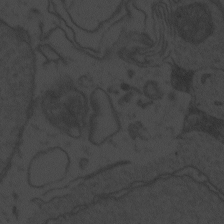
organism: Zebrafish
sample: Macrophage infected with Toxoplasma gondii